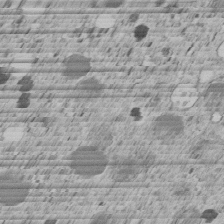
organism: C. elegans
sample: C. elegans embryo early stage